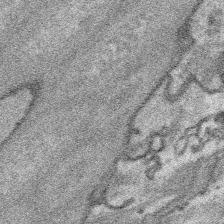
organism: Platynereis dumerilii